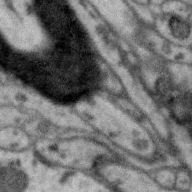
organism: Zebra finch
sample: Brain